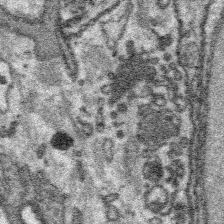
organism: Platynereis dumerilii